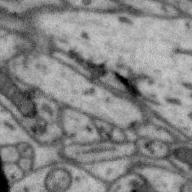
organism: Zebra finch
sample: Brain